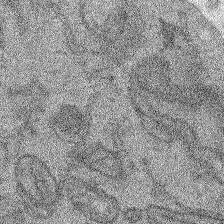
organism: Human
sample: HeLa cells